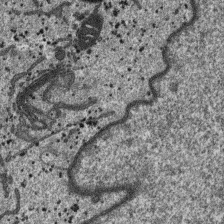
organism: Human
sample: Lung epithelial cells infected with SARS-CoV-2